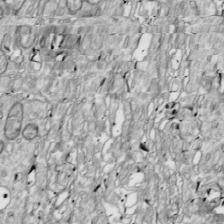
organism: Drosophila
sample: Cell division; meiosis; drosophila spermatocytes